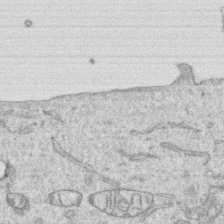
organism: Human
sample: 1205lu cells